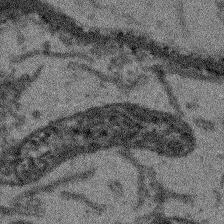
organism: Arabidopsis thaliana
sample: Root tip